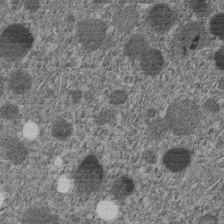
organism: C. elegans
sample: C. elegans embryo early stage